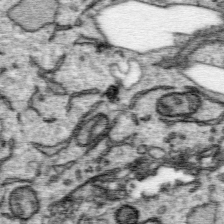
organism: Human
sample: HeLa cells